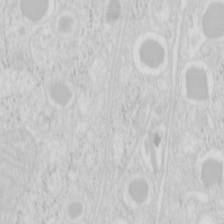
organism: Mouse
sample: Pancreas